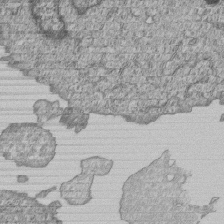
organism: Human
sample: MDA-MB-231 cells